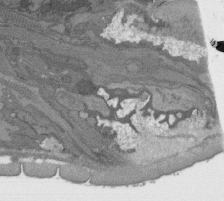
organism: C. elegans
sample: AFD neurons C. elegans